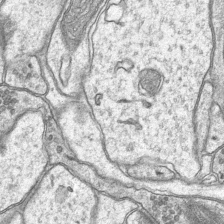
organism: Mouse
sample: CA1 Hippocampus